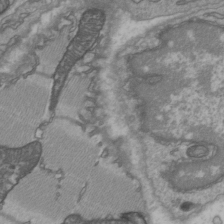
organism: C57BL Mouse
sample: Heart